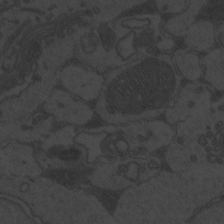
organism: Zebrafish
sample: Macrophage infected with Toxoplasma gondii